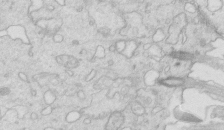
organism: Mouse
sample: Multiciliated cells